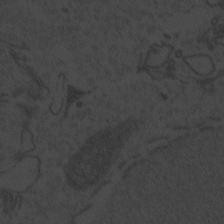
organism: Zebrafish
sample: Macrophage infected with Toxoplasma gondii